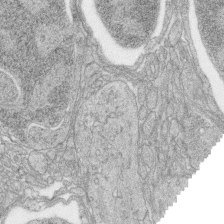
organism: Zebrafish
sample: synaptic ribbons in rod cells and cone cells